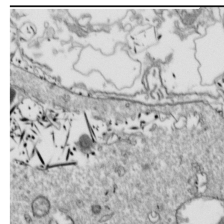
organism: Drosophila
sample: Cell division; meiosis; drosophila spermatocytes